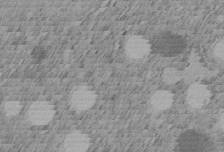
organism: C. elegans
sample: C. elegans embryo early stage